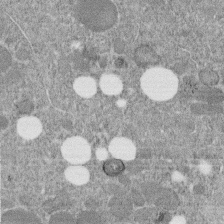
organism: C. elegans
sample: C. elegans embryo early stage